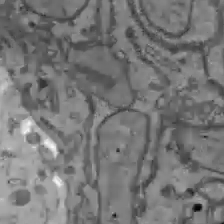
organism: C57BL Mouse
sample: Liver